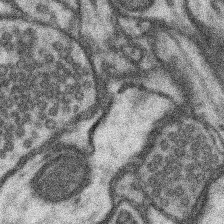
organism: Mouse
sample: Somatosensory cortex neuropil